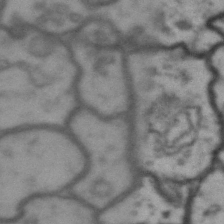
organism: Drosophila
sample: Brain